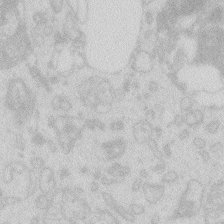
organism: Zebrafish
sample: Macrophage